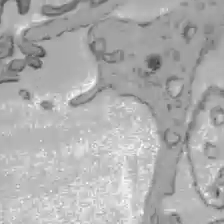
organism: C57BL Mouse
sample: Liver